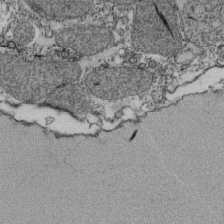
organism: Tetrahymena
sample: Cilia in tetrahymena